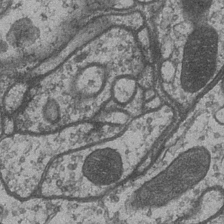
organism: Drosophila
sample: Optic medulla